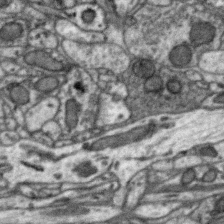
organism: Zebra finch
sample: Brain